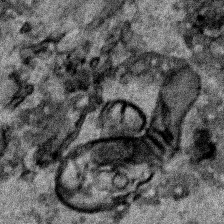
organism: Human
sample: Mitochondria in HCT116 cells